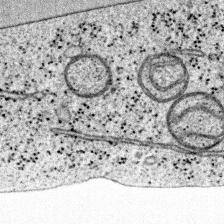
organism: Human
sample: HeLa cells